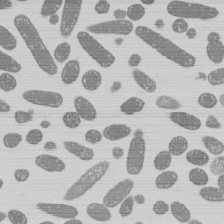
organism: E. coli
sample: Bacterial nucleoid